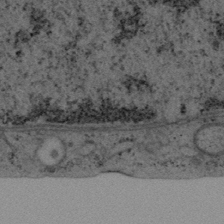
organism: Human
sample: HeLa cells